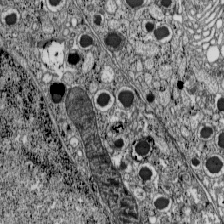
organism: C57BL Mouse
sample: Pancreatic islet